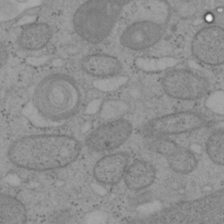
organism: Mouse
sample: OT-I killer T cells with ID8 ovarian cancer cells